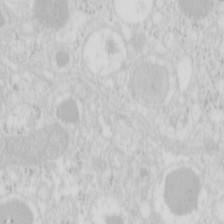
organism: Mouse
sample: Pancreas